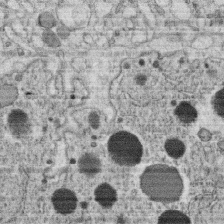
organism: C. elegans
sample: C. elegans oocyte; sperm cells